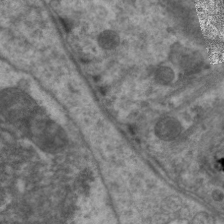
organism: C. elegans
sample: Pharynx